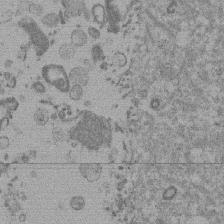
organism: Mouse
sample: Dividing mouse embryo 1 cell stage